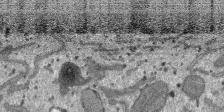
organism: Human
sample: Lung epithelial cells infected with SARS-CoV-2